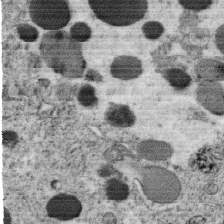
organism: C. elegans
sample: C. elegans oocyte; sperm cells